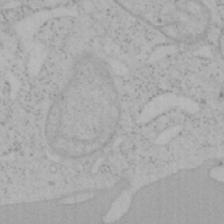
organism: Mouse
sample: OT-I killer T cells with ID8 ovarian cancer cells